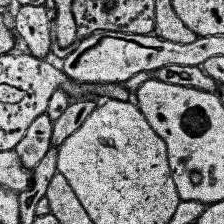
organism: Human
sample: Temporal Lobe